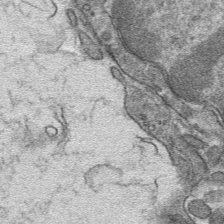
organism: Mouse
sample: Mouse hepatocytes